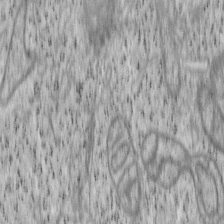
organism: Human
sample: HeLa cells